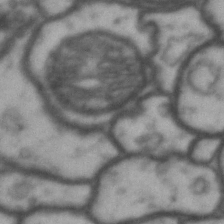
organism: Drosophila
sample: Brain